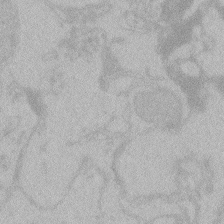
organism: Zebrafish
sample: Macrophage infected with Toxoplasma gondii